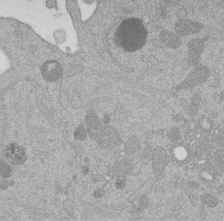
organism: Mouse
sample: Dividing mouse embryo 1 cell stage